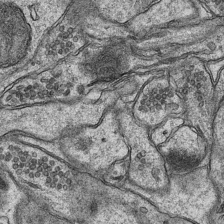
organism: Mouse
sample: CA1 Hippocampus